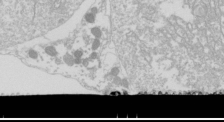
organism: Drosophila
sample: Cell division; meiosis; drosophila spermatocytes